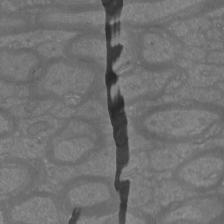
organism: Mouse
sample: Cortical neurons